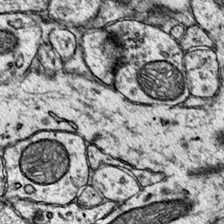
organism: Mouse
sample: Primary visual cortex